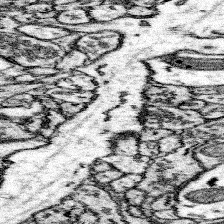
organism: Mouse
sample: Somatosensory cortex neuropil